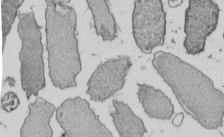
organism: E. coli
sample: Bacterial nucleoid